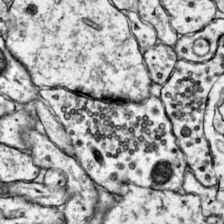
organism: Mouse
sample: Primary visual cortex